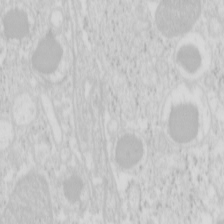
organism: Mouse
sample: Pancreas